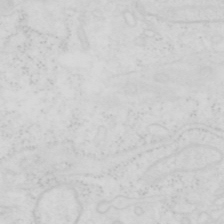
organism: Human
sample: SUM-159 cell